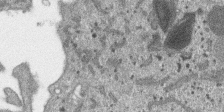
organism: Human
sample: Lung epithelial cells infected with SARS-CoV-2